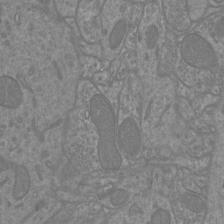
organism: Mouse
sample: Cortical neurons